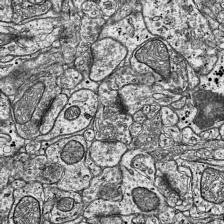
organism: Mouse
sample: Visual Cortex